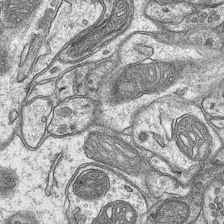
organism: Mouse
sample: CA1 Hippocampus